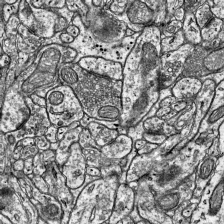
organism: Mouse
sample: Visual Cortex